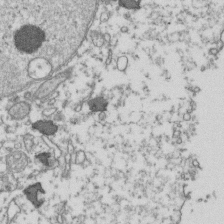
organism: Human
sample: Activated Jurkat CD4+ T cells